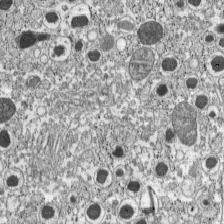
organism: C57BL Mouse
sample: Pancreatic islet